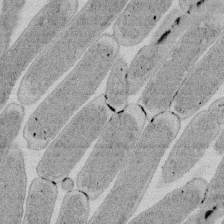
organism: E. coli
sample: Bacterial nucleoid